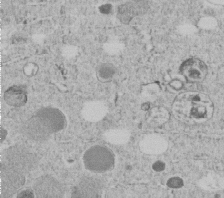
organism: C. elegans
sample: C. elegans embryo early stage